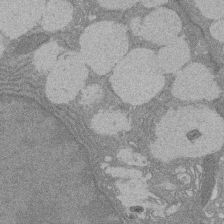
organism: Rat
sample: Salivary granule